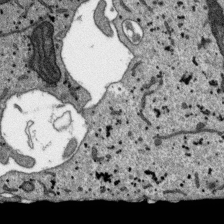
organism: Human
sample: Lung epithelial cells, uninfected (mock) control